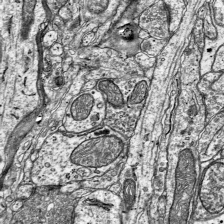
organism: Mouse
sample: Visual Cortex